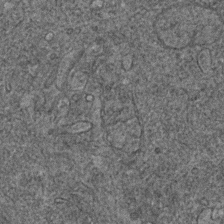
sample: Trachea